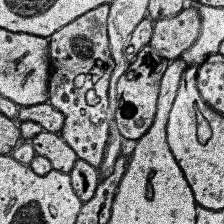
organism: Human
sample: Temporal Lobe